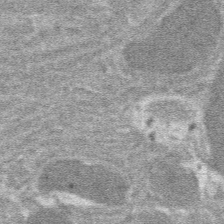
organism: Mouse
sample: Mouse hepatocytes